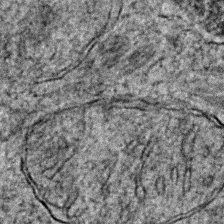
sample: Trachea